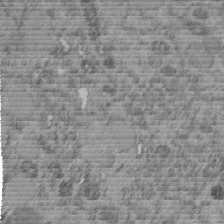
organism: C. elegans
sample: C. elegans embryo early stage